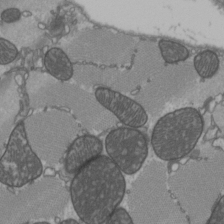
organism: C57BL Mouse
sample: Heart